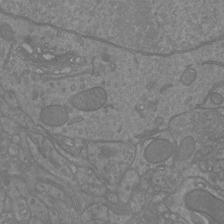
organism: Mouse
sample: Cortical neurons